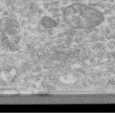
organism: Human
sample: Centriole in RPE cells